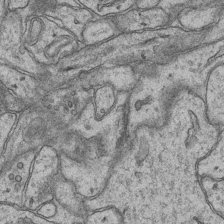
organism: Mouse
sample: CA1 Hippocampus